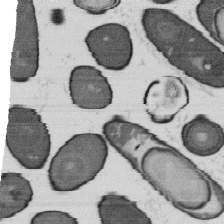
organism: B. subtilis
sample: Bacterial spore